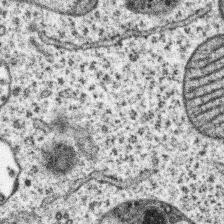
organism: Human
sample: HeLa cells